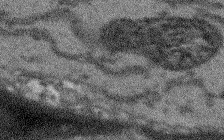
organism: Arabidopsis thaliana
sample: Root tip